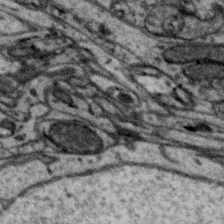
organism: Zebra finch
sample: Brain